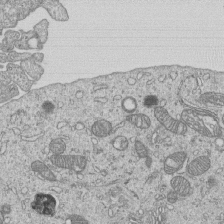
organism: Human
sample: MDA-MB-231 cells